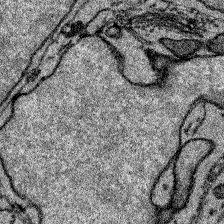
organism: Zebrafish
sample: Larval olfactory bulb